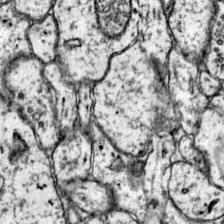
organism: Mouse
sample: Primary visual cortex